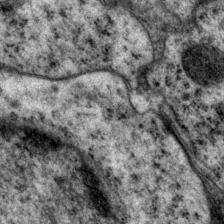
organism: P. pacificus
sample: Pharynx